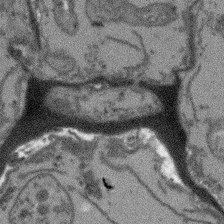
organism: Arabidopsis thaliana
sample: Root tip